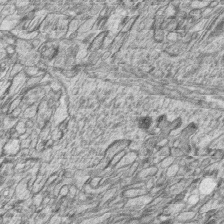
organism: Zebrafish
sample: synaptic ribbons in rod cells and cone cells